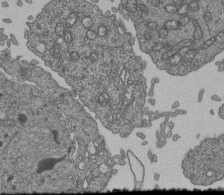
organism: Human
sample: Retinal organoid Rod and Cone cells